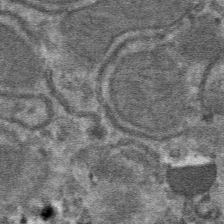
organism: Mouse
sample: Mouse hepatocytes